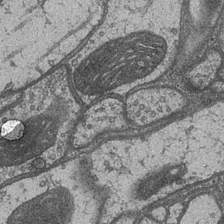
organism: Drosophila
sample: Optic medulla